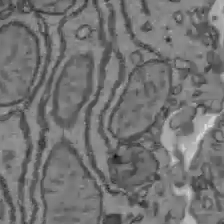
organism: C57BL Mouse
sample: Liver